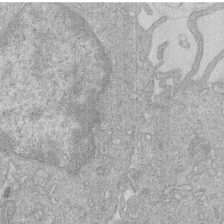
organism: Human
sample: Macrophage cells